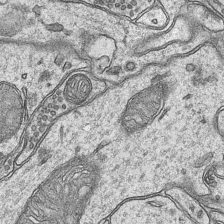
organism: Mouse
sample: CA1 Hippocampus